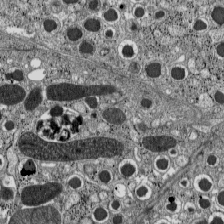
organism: C57BL Mouse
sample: Pancreatic islet